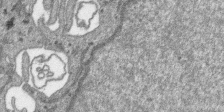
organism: Human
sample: Lung epithelial cells infected with SARS-CoV-2